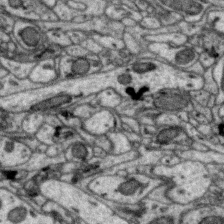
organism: Zebra finch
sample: Brain